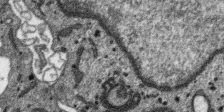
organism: Human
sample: Lung epithelial cells infected with SARS-CoV-2